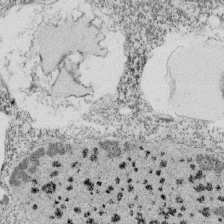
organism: Tetrahymena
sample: Cilia in tetrahymena